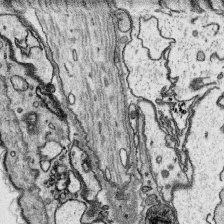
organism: Platynereis dumerilii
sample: Parapodia